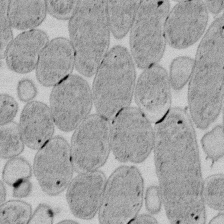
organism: E. coli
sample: Bacterial nucleoid